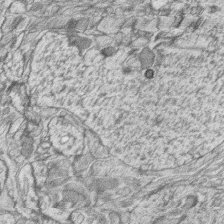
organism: Zebrafish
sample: synaptic ribbons in rod cells and cone cells